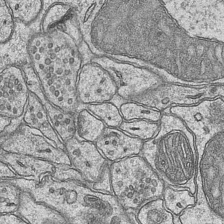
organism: Mouse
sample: CA1 Hippocampus